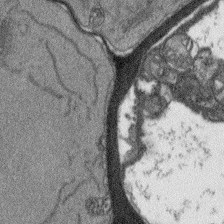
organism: Arabidopsis thaliana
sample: Root tip